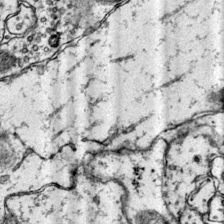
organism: Mouse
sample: Primary visual cortex